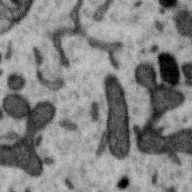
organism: Zebra finch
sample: Brain